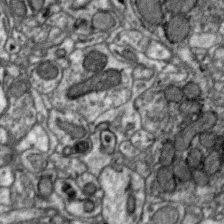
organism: Zebra finch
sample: Brain